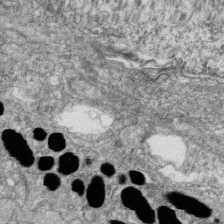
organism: Zebrafish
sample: Cilia; retinal pigment epithelium